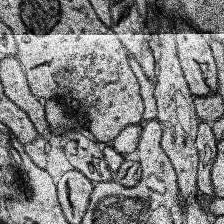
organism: Human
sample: Temporal Lobe